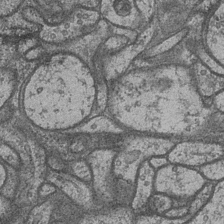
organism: Drosophila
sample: Optic medulla